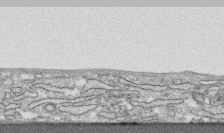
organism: Human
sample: CRL-1474